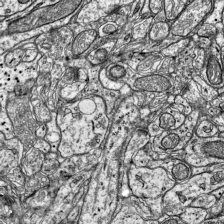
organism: Mouse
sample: Visual Cortex